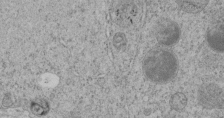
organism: C. elegans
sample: C. elegans embryo early stage